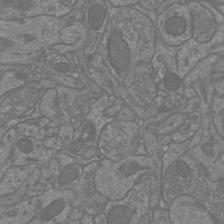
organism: Mouse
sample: Cortical neurons